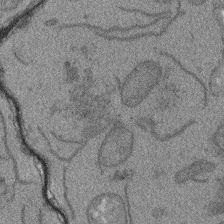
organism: Arabidopsis thaliana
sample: Root tip